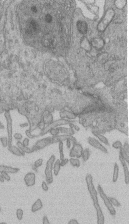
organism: Human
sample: Retinal organoid Rod and Cone cells